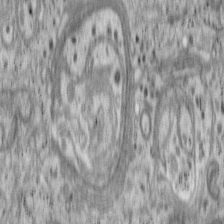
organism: Human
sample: HeLa cells